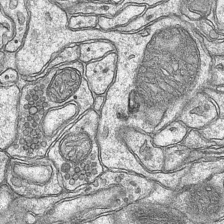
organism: Mouse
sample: CA1 Hippocampus